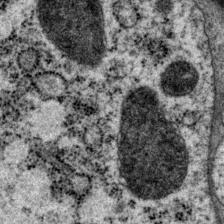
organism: P. pacificus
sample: Pharynx